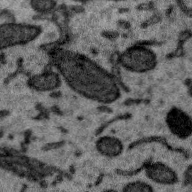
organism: Zebra finch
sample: Brain